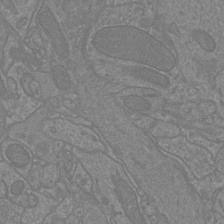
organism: Mouse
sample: Cortical neurons